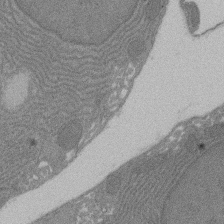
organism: Rat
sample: Salivary granule